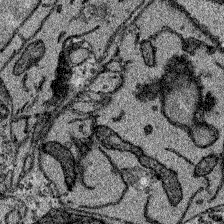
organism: Zebrafish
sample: Larval olfactory bulb